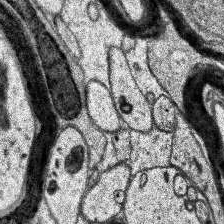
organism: Human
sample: Temporal Lobe